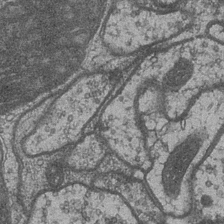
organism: Drosophila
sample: Optic medulla